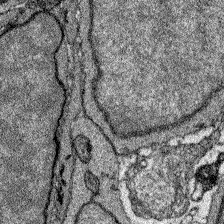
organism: Zebrafish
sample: Larval olfactory bulb